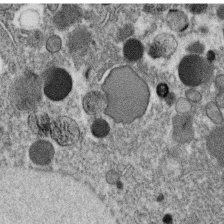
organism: C. elegans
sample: C. elegans oocyte; sperm cells